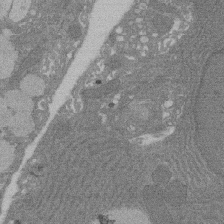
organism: Rat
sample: Salivary granule